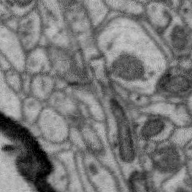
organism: Zebra finch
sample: Brain